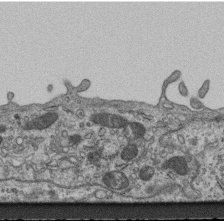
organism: Mouse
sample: Centriole in ependymal cells